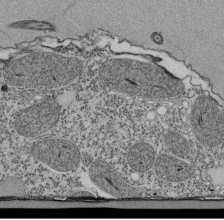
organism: Tetrahymena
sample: Cilia in tetrahymena